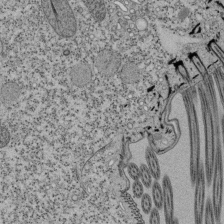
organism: Tetrahymena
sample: Cilia in tetrahymena